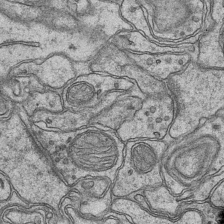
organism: Mouse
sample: CA1 Hippocampus